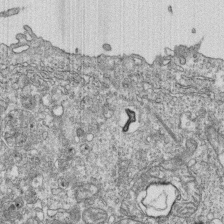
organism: Human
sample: HeLa cell HIV synapse